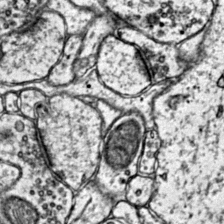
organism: Mouse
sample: Primary visual cortex